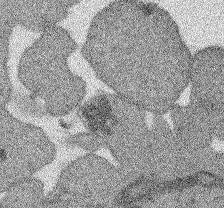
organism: Human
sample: HeLa cells